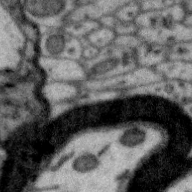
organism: Zebra finch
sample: Brain